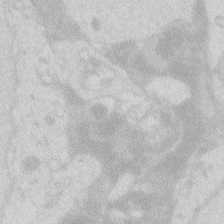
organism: Zebrafish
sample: Macrophage